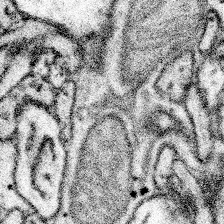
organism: Mouse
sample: Somatosensory cortex neuropil